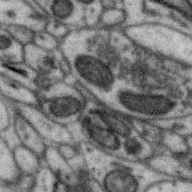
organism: Zebra finch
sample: Brain